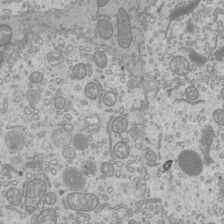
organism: Mouse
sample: Cilia; mouse epididymis